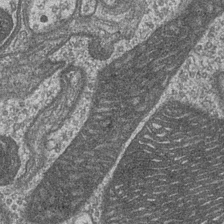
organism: Drosophila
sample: Optic medulla